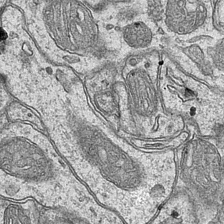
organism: Mouse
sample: CA1 Hippocampus